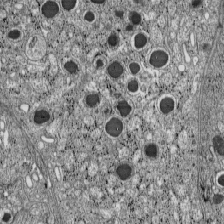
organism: C57BL Mouse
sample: Pancreatic islet